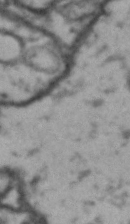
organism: Drosophila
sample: Brain